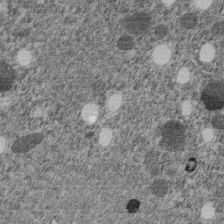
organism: C. elegans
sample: C. elegans embryo early stage